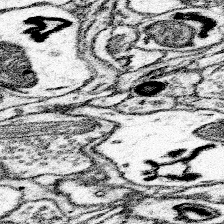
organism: Mouse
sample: Somatosensory cortex neuropil